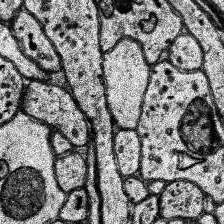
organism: Human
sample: Temporal Lobe